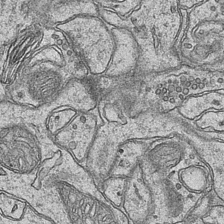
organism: Mouse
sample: CA1 Hippocampus